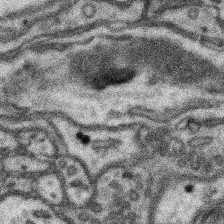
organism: Mouse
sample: Somatosensory cortex neuropil